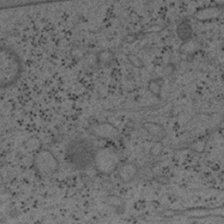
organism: Human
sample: HeLa cells